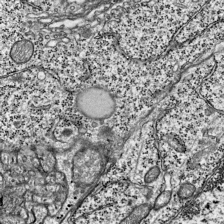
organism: Mouse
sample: Visual Cortex